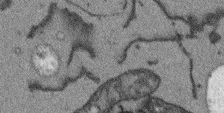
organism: Arabidopsis thaliana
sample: Root tip